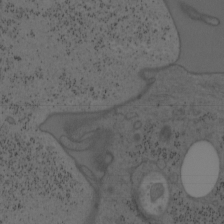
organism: Mouse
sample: OT-I killer T cells with ID8 ovarian cancer cells